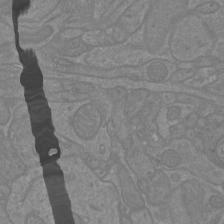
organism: Mouse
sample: Cortical neurons